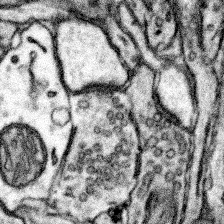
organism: Mouse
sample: Somatosensory cortex neuropil